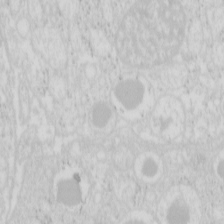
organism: Mouse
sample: Pancreas